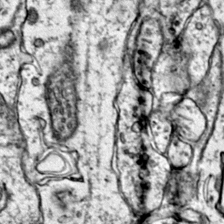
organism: Mouse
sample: Primary visual cortex